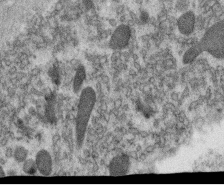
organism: C. elegans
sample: C. elegans oocyte; sperm cells